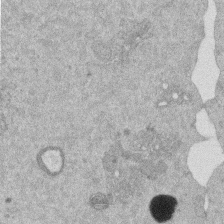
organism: Mouse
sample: Dividing mouse embryo 1 cell stage